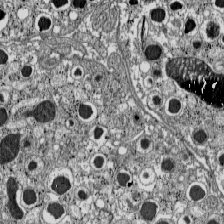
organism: C57BL Mouse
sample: Pancreatic islet